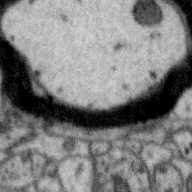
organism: Zebra finch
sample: Brain